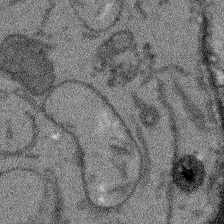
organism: Arabidopsis thaliana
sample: Root tip